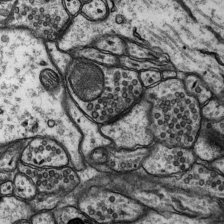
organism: Rat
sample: Hippocampus